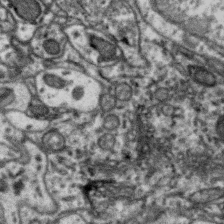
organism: Zebra finch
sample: Brain